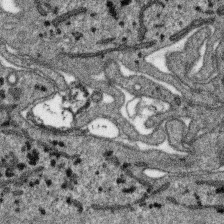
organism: Human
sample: Lung epithelial cells infected with SARS-CoV-2